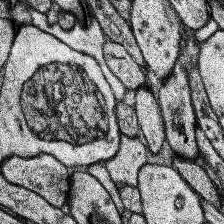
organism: Human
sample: Temporal Lobe